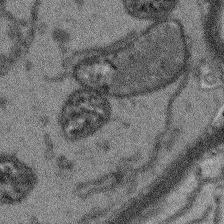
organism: Arabidopsis thaliana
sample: Root tip